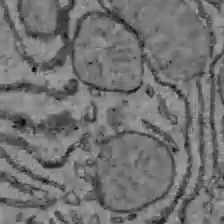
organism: C57BL Mouse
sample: Liver